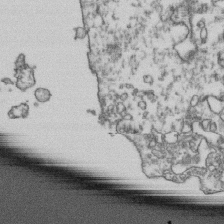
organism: Human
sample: Activated Jurkat CD4+ T cells